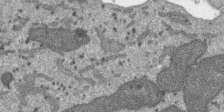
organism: Human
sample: Lung epithelial cells infected with SARS-CoV-2